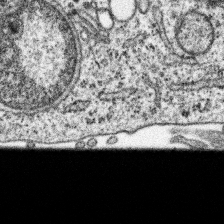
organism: Human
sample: HeLa cells